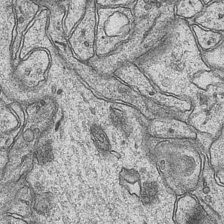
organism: Mouse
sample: CA1 Hippocampus